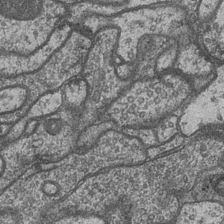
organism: Drosophila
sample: Optic medulla